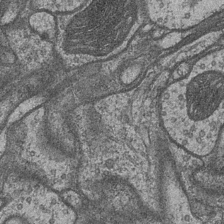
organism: Drosophila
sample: Optic medulla